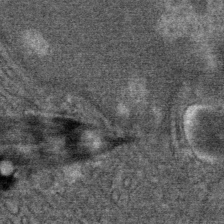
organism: Mouse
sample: Mouse Salivary gland